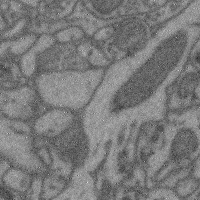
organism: Mouse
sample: Cerebral cortex